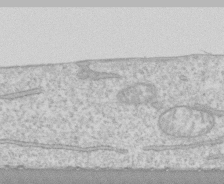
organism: Human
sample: CRL-1474